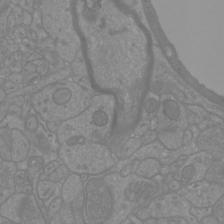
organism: Mouse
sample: Cortical neurons